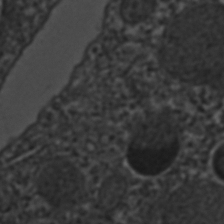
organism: C. elegans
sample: C. elegans embryo